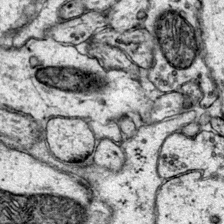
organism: Mouse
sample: Primary visual cortex